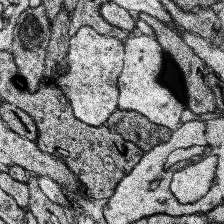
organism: Human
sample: Temporal Lobe